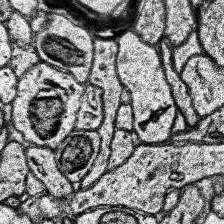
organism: Human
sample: Temporal Lobe